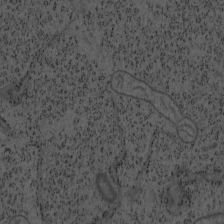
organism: Mouse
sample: OT-I killer T cells with ID8 ovarian cancer cells